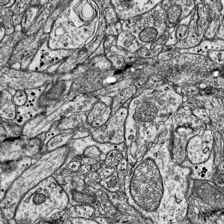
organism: Mouse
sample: Visual Cortex